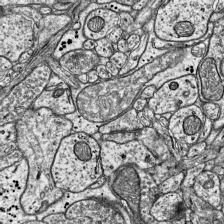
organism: Mouse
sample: Visual Cortex